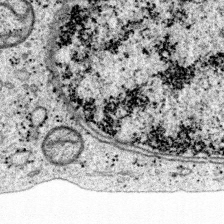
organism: Human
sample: HeLa cells